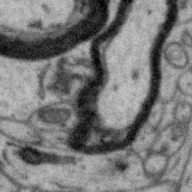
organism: Zebra finch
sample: Brain